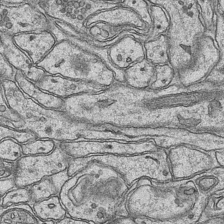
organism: Mouse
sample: CA1 Hippocampus